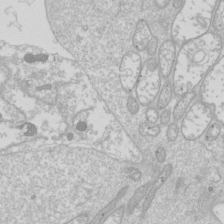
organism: Drosophila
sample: Cell division; meiosis; drosophila spermatocytes